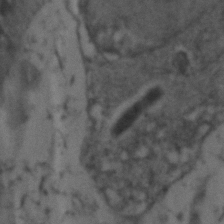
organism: Zebrafish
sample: Zebrafish embryo